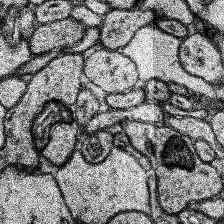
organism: Human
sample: Temporal Lobe